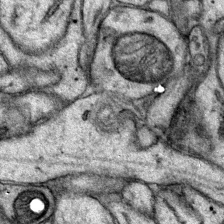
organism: Mouse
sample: Primary visual cortex